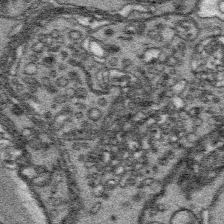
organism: Platynereis dumerilii